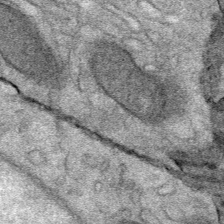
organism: Mouse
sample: Mouse Salivary gland